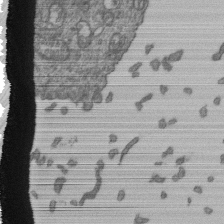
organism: Human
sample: Retinal organoid Rod and Cone cells